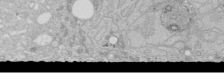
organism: Human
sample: Caco-2 cells